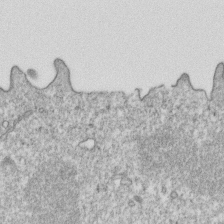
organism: Mouse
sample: Activated OT-1 CD8+ T cells